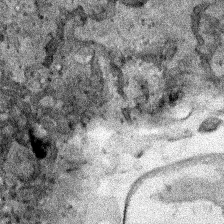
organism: Human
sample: Mitochondria in HCT116 cells